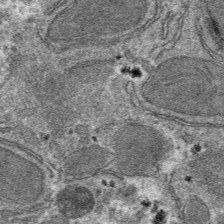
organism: Mouse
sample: Mouse hepatocytes